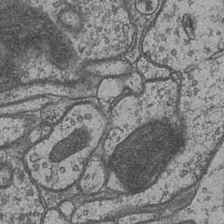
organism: Drosophila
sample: Optic medulla